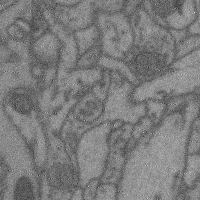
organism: Mouse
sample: Cerebral cortex